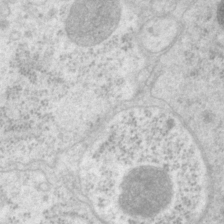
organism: P. pacificus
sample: Pharynx